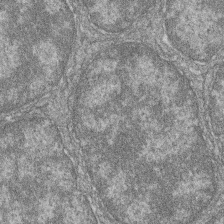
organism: Zebrafish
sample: Cilia; retinal pigment epithelium